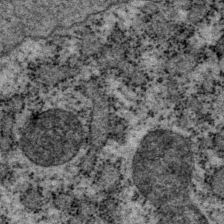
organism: P. pacificus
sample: Pharynx